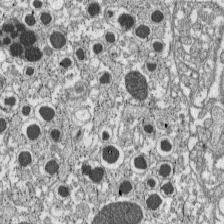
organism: C57BL Mouse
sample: Pancreatic islet